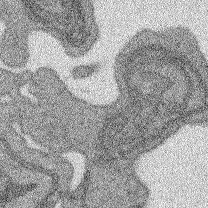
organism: Human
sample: HeLa cells